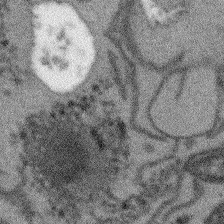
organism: Arabidopsis thaliana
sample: Root tip